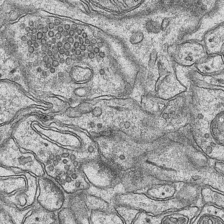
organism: Mouse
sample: CA1 Hippocampus